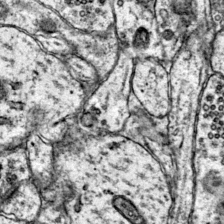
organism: Mouse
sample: Primary visual cortex